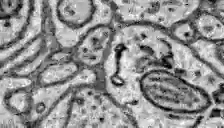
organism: Zebrafish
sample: Brain